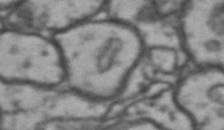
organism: Drosophila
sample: Brain